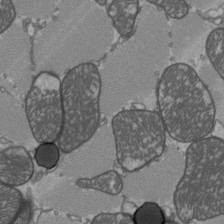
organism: C57BL Mouse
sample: Heart